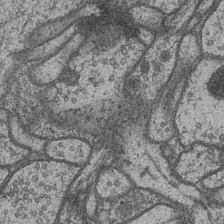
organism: Drosophila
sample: Optic medulla